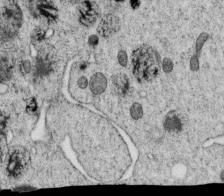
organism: C. elegans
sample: C. elegans oocyte; sperm cells